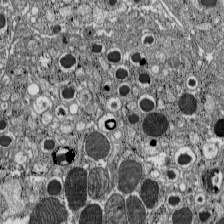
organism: C57BL Mouse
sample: Pancreatic islet